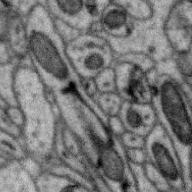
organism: Zebra finch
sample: Brain